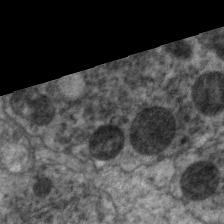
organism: C. elegans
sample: Pharynx